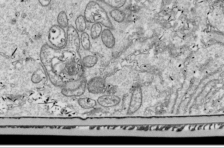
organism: Drosophila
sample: Cell division; meiosis; drosophila spermatocytes